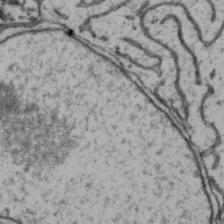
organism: Zebra finch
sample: Brain